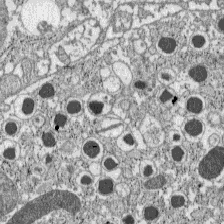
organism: C57BL Mouse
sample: Pancreatic islet